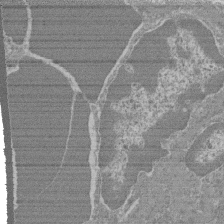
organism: Mouse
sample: Glomerulus